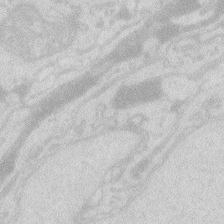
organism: Zebrafish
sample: Macrophage